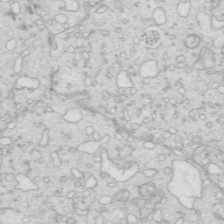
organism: Mouse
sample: Multiciliated cells